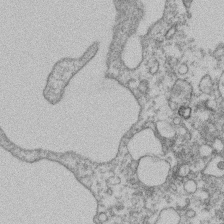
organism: Mouse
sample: T cell stromal cell synapse